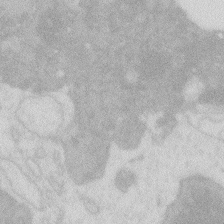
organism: Zebrafish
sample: Macrophage